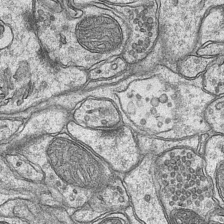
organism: Mouse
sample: CA1 Hippocampus